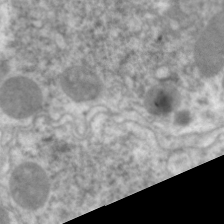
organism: C. elegans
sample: Pharynx